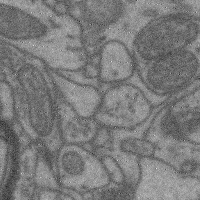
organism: Mouse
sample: Cerebral cortex